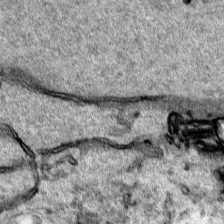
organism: Human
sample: Mitochondria in HCT116 cells